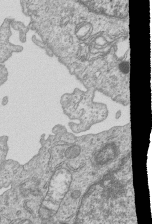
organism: Human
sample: MDA-MB-231 cells